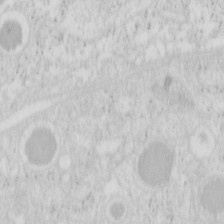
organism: Mouse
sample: Pancreas